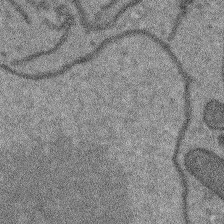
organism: Arabidopsis thaliana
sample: Root tip